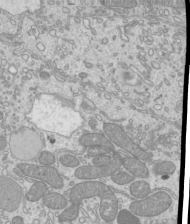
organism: Mouse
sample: Cilia; mouse epididymis